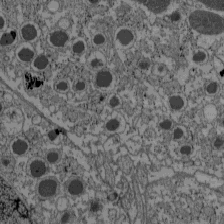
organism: C57BL Mouse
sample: Pancreatic islet